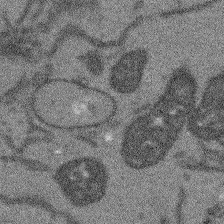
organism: Arabidopsis thaliana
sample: Root tip